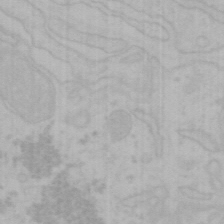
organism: Mouse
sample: Choroid plexus